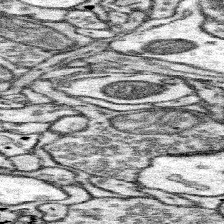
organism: Mouse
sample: Somatosensory cortex neuropil